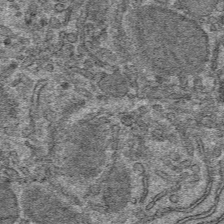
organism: Mouse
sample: Mouse hepatocytes